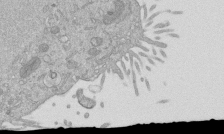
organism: Mouse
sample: ED-1 cell nuclei; centrioles